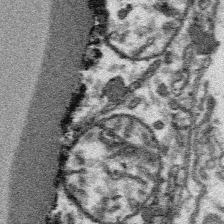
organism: Platynereis dumerilii